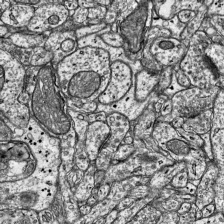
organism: Mouse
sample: Visual Cortex